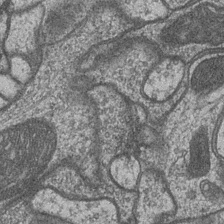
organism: Drosophila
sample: Optic medulla